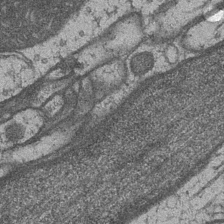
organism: Drosophila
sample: Optic medulla